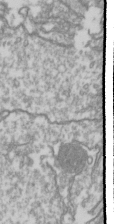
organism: Drosophila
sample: Cell division; meiosis; drosophila spermatocytes